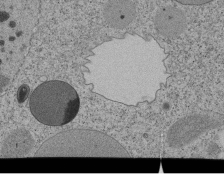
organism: Tetrahymena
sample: Cilia in tetrahymena